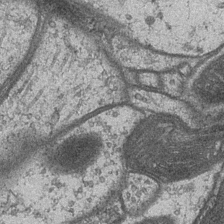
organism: Drosophila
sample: Optic medulla